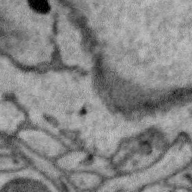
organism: Zebra finch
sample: Brain